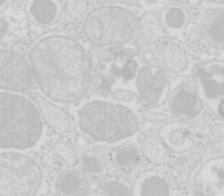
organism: Mouse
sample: Pancreas